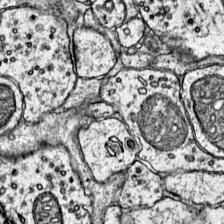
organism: Mouse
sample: Primary visual cortex